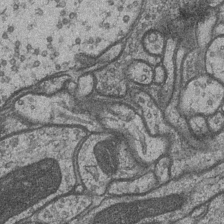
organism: Drosophila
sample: Optic medulla